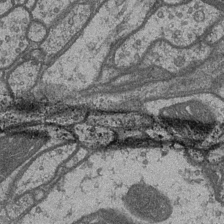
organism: Drosophila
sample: Optic medulla